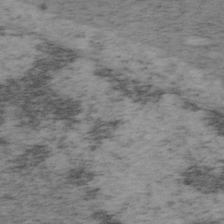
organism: Mouse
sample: OT-I killer T cells with ID8 ovarian cancer cells